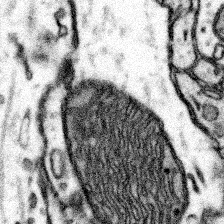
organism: Mouse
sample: Somatosensory cortex neuropil